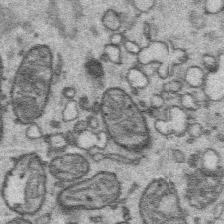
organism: Platynereis dumerilii